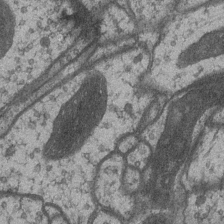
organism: Drosophila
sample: Optic medulla